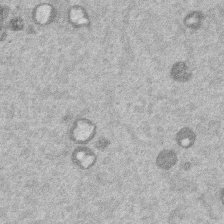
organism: Mouse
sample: Dividing mouse embryo 1 cell stage